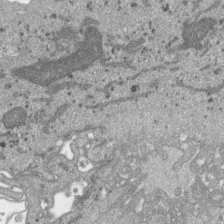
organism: Human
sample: Lung epithelial cells infected with SARS-CoV-2